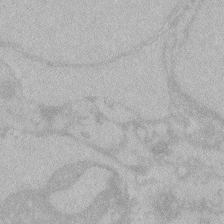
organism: Zebrafish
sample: Macrophage infected with Toxoplasma gondii